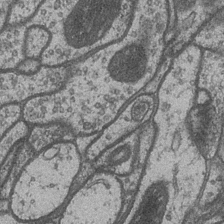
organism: Drosophila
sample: Optic medulla